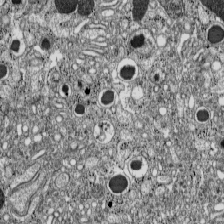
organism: C57BL Mouse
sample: Pancreatic islet